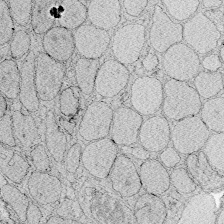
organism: Zebrafish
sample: Whole-Brain